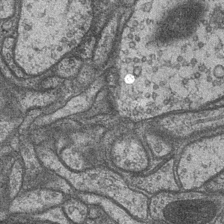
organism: Drosophila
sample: Optic medulla